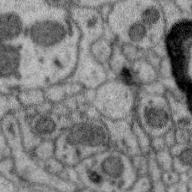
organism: Zebra finch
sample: Brain